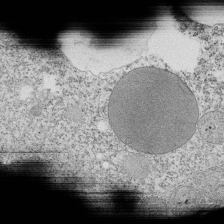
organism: Tetrahymena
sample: Cilia in tetrahymena